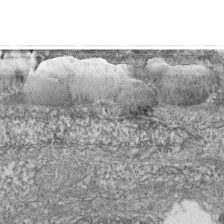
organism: Zebrafish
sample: Cilia; retinal pigment epithelium